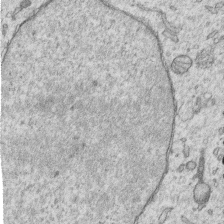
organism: Human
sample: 1205lu cells